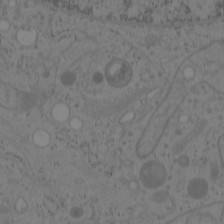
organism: Human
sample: HeLa cells